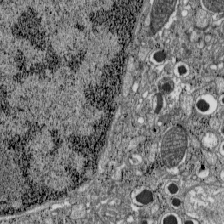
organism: C57BL Mouse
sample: Pancreatic islet